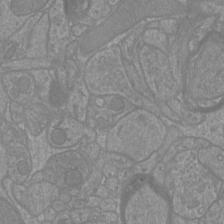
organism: Mouse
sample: Cortical neurons